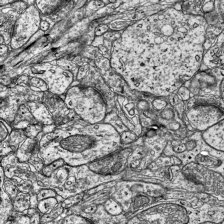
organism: Mouse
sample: Visual Cortex